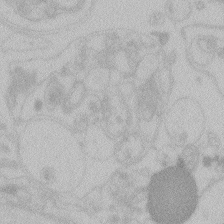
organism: Zebrafish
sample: Macrophage infected with Toxoplasma gondii